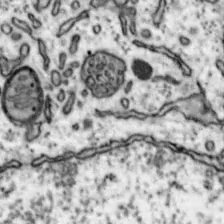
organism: Mouse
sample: Nucleus accumbens